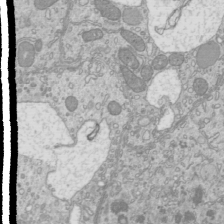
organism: Mouse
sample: Cilia; mouse epididymis